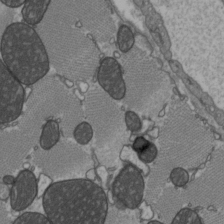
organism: C57BL Mouse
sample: Heart